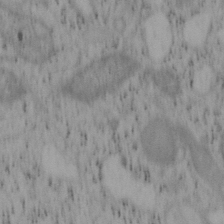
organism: Mouse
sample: OT-I killer T cells with ID8 ovarian cancer cells